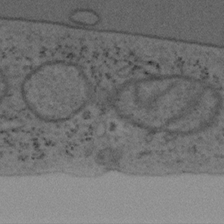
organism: Human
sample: HeLa cells